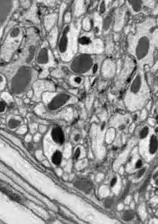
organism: Drosophila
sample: Optic lobe